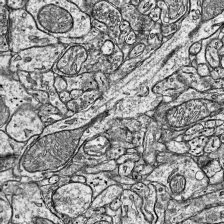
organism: Mouse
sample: Visual Cortex